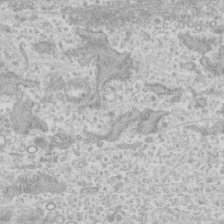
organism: Human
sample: CRL-1474